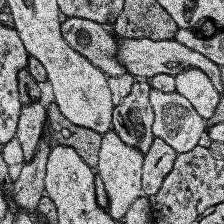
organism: Human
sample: Temporal Lobe